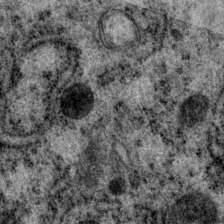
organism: P. pacificus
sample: Pharynx